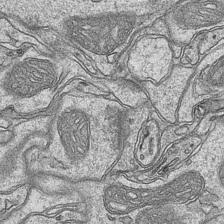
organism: Mouse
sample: CA1 Hippocampus